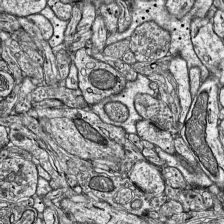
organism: Mouse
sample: Visual Cortex